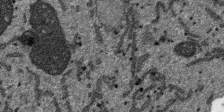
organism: Human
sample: Lung epithelial cells infected with SARS-CoV-2